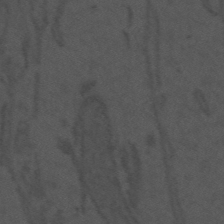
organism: Mouse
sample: Suprachiasmatic nucleus